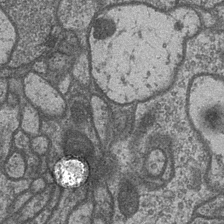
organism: Drosophila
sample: Optic medulla